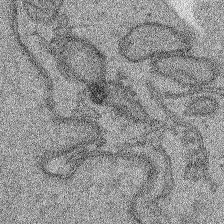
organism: Human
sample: HeLa cells